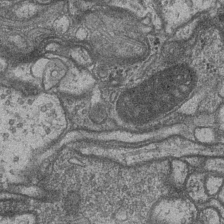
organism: Drosophila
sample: Optic medulla